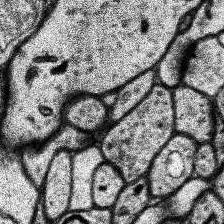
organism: Human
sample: Temporal Lobe